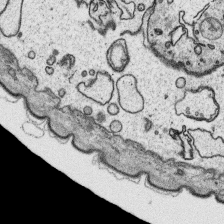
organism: Platynereis dumerilii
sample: Parapodia